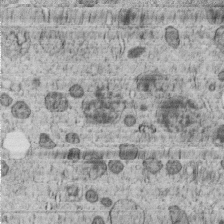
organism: C. elegans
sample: C. elegans embryo early stage